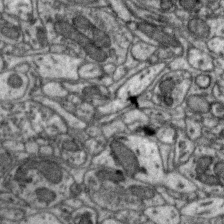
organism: Zebra finch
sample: Brain